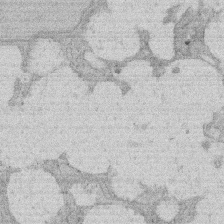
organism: Rat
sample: Salivary granule